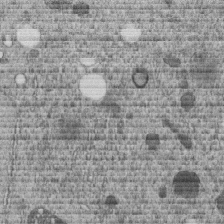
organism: C. elegans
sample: C. elegans embryo early stage